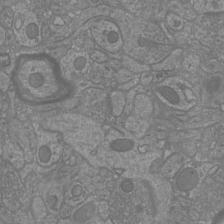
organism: Mouse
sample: Cortical neurons